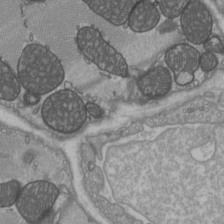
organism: C57BL Mouse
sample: Heart